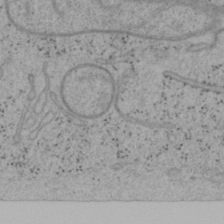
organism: Human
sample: HeLa cells